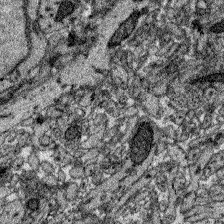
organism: Zebrafish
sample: Larval olfactory bulb